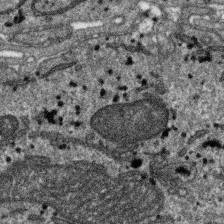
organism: Human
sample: Lung epithelial cells infected with SARS-CoV-2